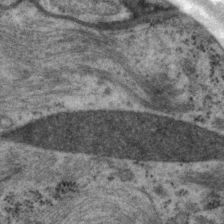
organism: P. pacificus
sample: Pharynx